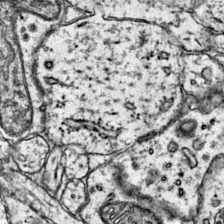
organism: Mouse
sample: Primary visual cortex